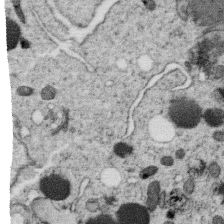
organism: C. elegans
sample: C. elegans oocyte; sperm cells